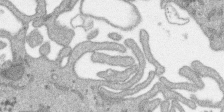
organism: Human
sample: Lung epithelial cells infected with SARS-CoV-2